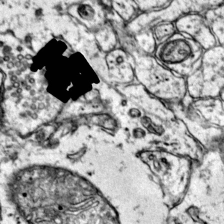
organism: Mouse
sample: Primary visual cortex